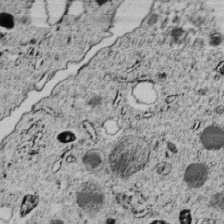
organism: C. elegans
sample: C. elegans embryo early stage